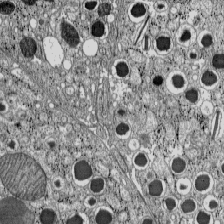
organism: C57BL Mouse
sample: Pancreatic islet